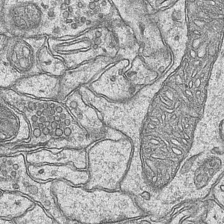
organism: Mouse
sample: CA1 Hippocampus